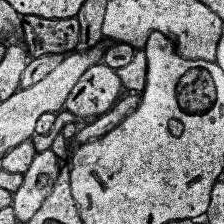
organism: Human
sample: Temporal Lobe